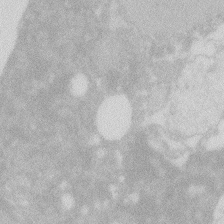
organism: Zebrafish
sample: Macrophage